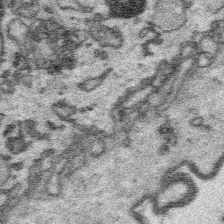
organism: Platynereis dumerilii